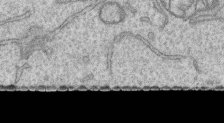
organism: Human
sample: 1205lu cells